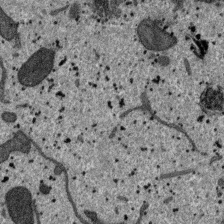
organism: Human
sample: Lung epithelial cells, uninfected (mock) control